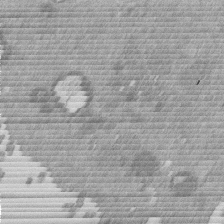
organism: Mouse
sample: Dividing mouse embryo 1 cell stage